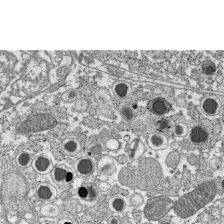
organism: C57BL Mouse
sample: Pancreatic islet